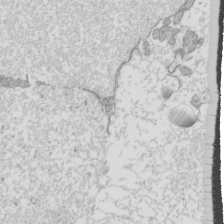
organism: Mouse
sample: Cilia; mouse epididymis